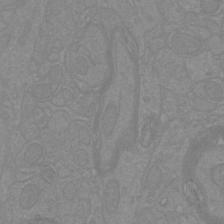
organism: Mouse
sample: Cortical neurons